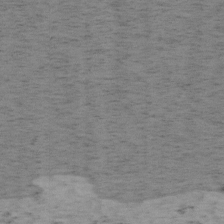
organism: Mouse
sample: OT-I killer T cells with ID8 ovarian cancer cells